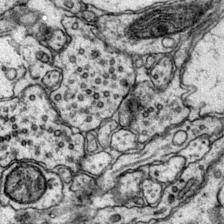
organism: Mouse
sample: Primary visual cortex